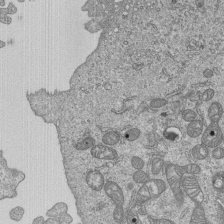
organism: Human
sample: MDA-MB-231 cells